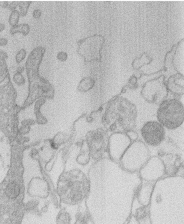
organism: Human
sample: Macrophage cells